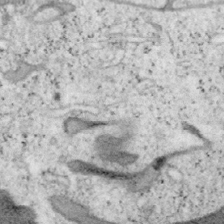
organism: Mouse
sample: OT-I killer T cells with ID8 ovarian cancer cells